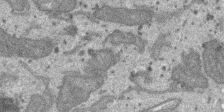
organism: Human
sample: Lung epithelial cells infected with SARS-CoV-2